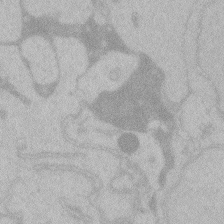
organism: Zebrafish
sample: Macrophage infected with Toxoplasma gondii